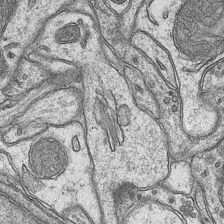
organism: Mouse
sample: CA1 Hippocampus